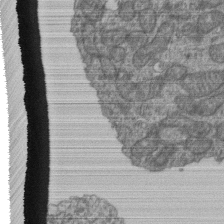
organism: Human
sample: Retinal organoid Rod and Cone cells